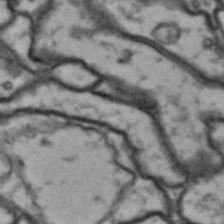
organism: Drosophila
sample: Brain